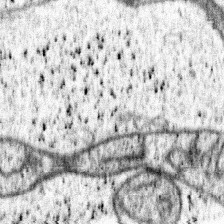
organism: Human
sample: HeLa cells